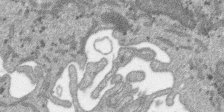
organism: Human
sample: Lung epithelial cells infected with SARS-CoV-2